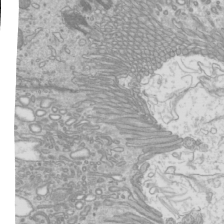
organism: Mouse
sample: Cilia; mouse epididymis